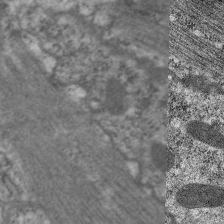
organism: C. elegans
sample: Pharynx